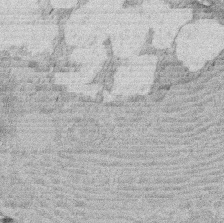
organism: Rat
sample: Salivary granule